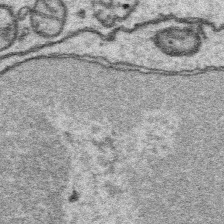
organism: Platynereis dumerilii